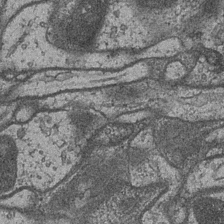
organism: Drosophila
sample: Optic medulla